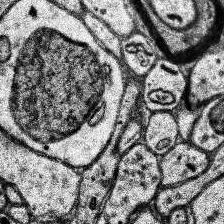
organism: Human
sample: Temporal Lobe